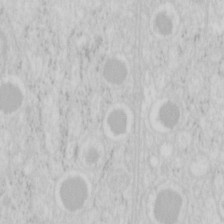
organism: Mouse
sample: Pancreas